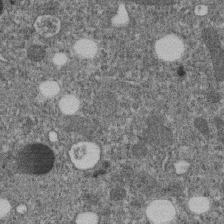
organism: C. elegans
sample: C. elegans embryo early stage